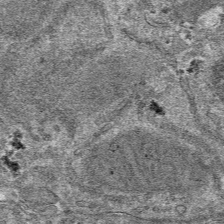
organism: Mouse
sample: Mouse hepatocytes